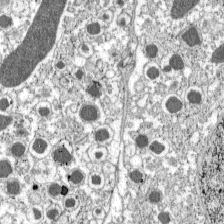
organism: C57BL Mouse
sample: Pancreatic islet